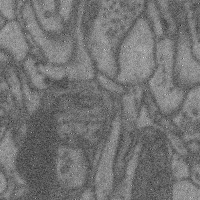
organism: Mouse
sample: Cerebral cortex